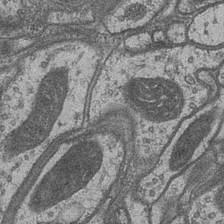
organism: Drosophila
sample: Optic medulla